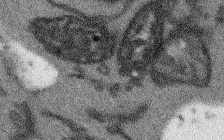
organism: Arabidopsis thaliana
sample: Root tip